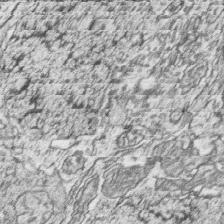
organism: Zebrafish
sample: synaptic ribbons in rod cells and cone cells